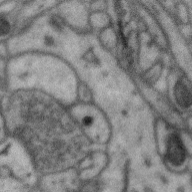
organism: Zebra finch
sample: Brain